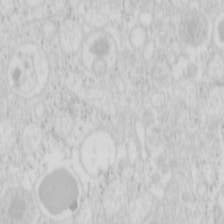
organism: Mouse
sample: Pancreas